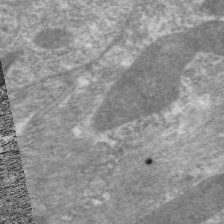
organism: C. elegans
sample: Pharynx